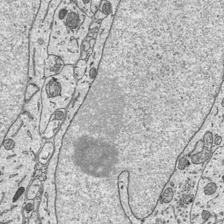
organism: Mouse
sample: Suprachiasmatic nucleus